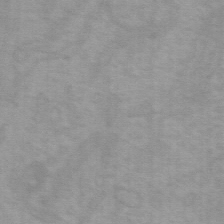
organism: Mouse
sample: Choroid plexus